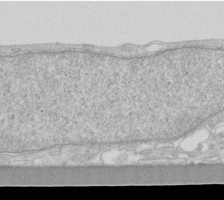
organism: Human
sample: Fibroblast cells